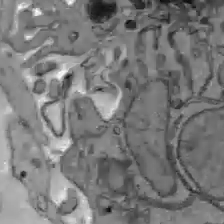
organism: C57BL Mouse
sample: Liver